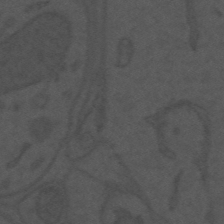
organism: Mouse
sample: Suprachiasmatic nucleus